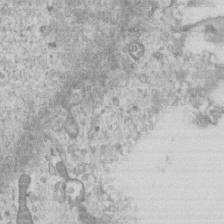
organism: Mouse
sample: Centriole in ependymal cells